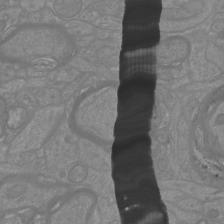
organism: Mouse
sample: Cortical neurons